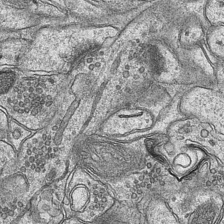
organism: Mouse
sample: CA1 Hippocampus